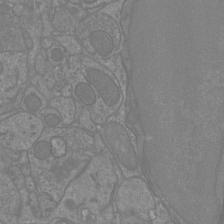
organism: Mouse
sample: Cortical neurons